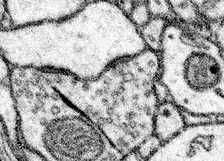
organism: Mouse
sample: Somatosensory cortex neuropil